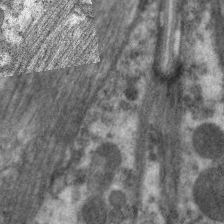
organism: C. elegans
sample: Pharynx